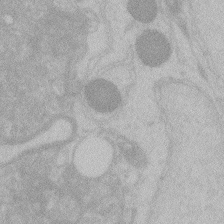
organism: Zebrafish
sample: Macrophage infected with Toxoplasma gondii